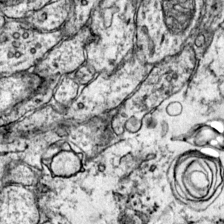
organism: Mouse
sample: Primary visual cortex